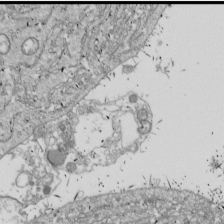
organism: Drosophila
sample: Cell division; meiosis; drosophila spermatocytes